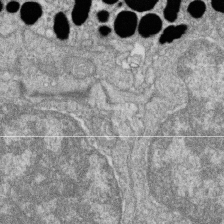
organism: Zebrafish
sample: Cilia; retinal pigment epithelium